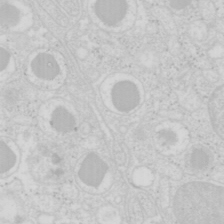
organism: Mouse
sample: Pancreas